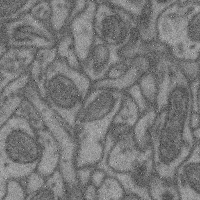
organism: Mouse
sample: Cerebral cortex